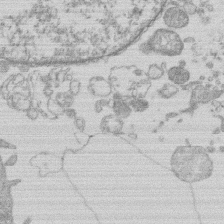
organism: Human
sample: Macrophage cells